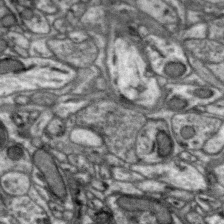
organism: Zebra finch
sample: Brain